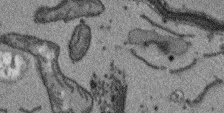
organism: Arabidopsis thaliana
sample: Root tip